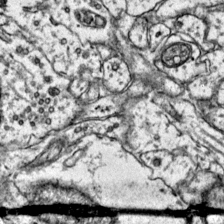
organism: Mouse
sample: Primary visual cortex